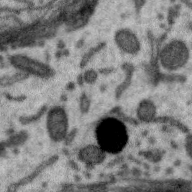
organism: Zebra finch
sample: Brain